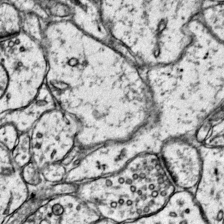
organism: Mouse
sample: Primary visual cortex